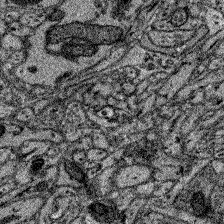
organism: Zebrafish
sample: Larval olfactory bulb